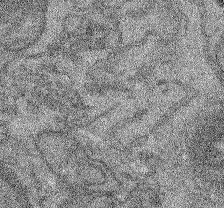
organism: Human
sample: HeLa cells